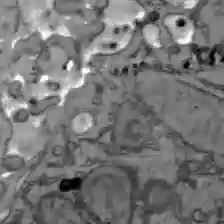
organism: C57BL Mouse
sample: Liver